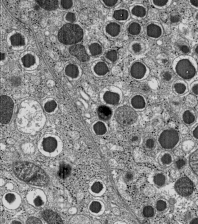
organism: C57BL Mouse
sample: Pancreatic islet